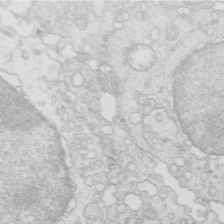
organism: Mouse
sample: Multiciliated cells